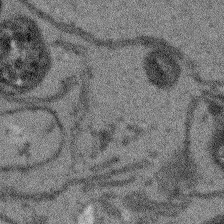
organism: Arabidopsis thaliana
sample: Root tip